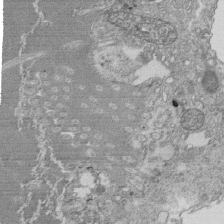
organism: Tetrahymena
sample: Cilia in tetrahymena